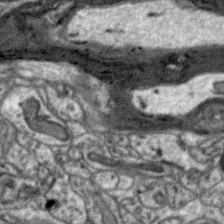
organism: Zebra finch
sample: Brain